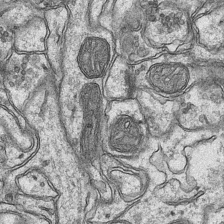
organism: Mouse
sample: CA1 Hippocampus